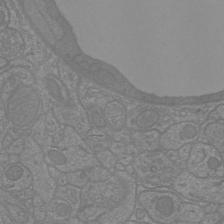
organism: Mouse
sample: Cortical neurons